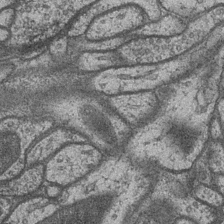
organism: Drosophila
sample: Optic medulla